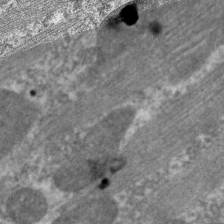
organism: C. elegans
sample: Pharynx